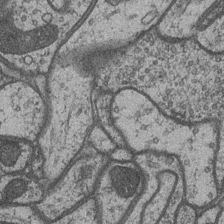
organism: Drosophila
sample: Optic medulla